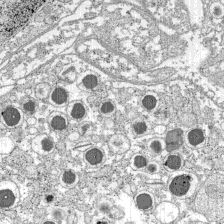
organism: C57BL Mouse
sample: Pancreatic islet